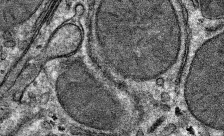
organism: Mouse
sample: Mouse hepatocytes